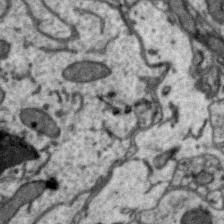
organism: Zebra finch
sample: Brain